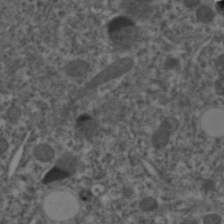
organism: C. elegans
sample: C. elegans embryo